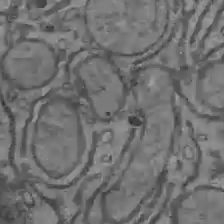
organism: C57BL Mouse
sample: Liver